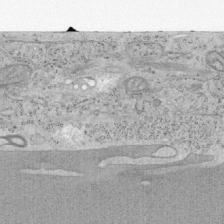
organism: Human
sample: HeLa cells